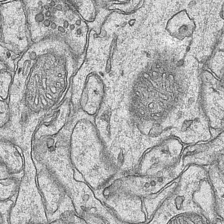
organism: Mouse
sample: CA1 Hippocampus